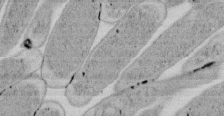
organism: E. coli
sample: Bacterial nucleoid